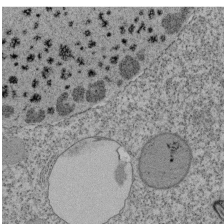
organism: Tetrahymena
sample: Cilia in tetrahymena